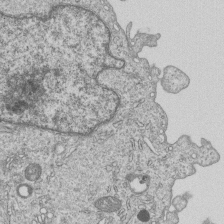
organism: Human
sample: MDA-MB-231 cells